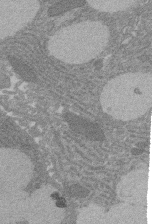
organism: Rat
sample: Salivary granule